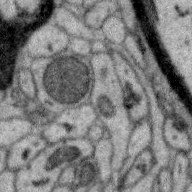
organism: Zebra finch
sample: Brain